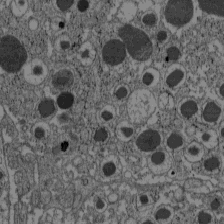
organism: C57BL Mouse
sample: Pancreatic islet